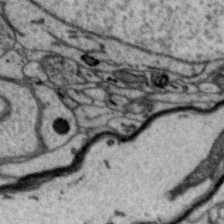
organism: Zebra finch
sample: Brain